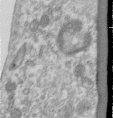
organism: Human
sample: Centriole in RPE cells